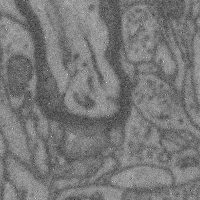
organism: Mouse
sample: Cerebral cortex